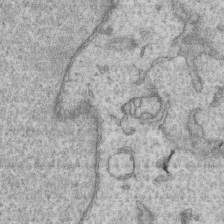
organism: Human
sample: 1205lu cells